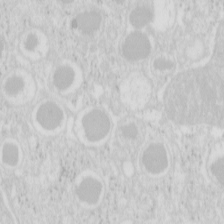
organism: Mouse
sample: Pancreas